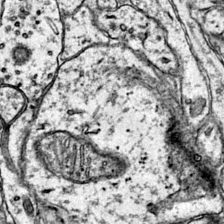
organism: Mouse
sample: Primary visual cortex